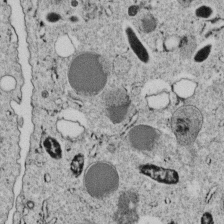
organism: C. elegans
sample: C. elegans embryo early stage